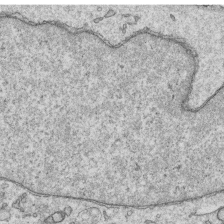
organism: Human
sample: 1205lu cells